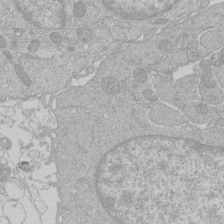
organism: Human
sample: Macrophage cells